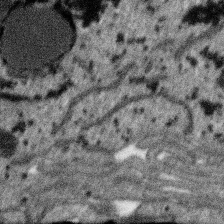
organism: Human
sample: Lung epithelial cells infected with SARS-CoV-2